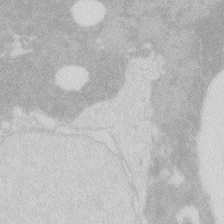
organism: Zebrafish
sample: Macrophage